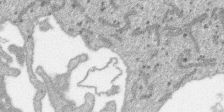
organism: Human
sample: Lung epithelial cells infected with SARS-CoV-2